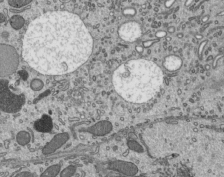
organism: Mouse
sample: Mouse epididymis efferent ductule cilia